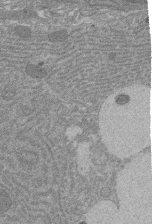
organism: Rat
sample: Salivary granule